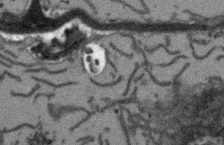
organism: Arabidopsis thaliana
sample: Root tip